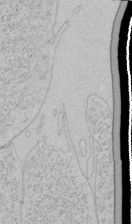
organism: Human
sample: Mitochondria in HCT116 cells